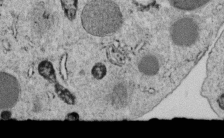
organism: C. elegans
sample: C. elegans embryo early stage